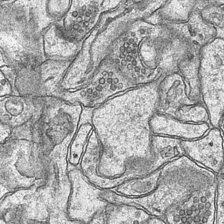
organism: Mouse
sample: CA1 Hippocampus